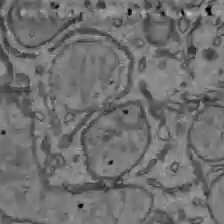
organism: C57BL Mouse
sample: Liver